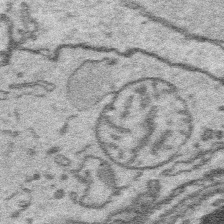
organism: Platynereis dumerilii